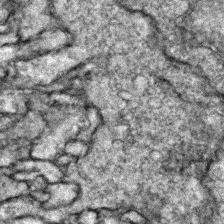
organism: Zebrafish